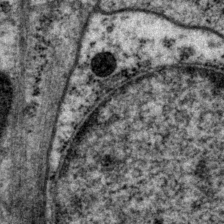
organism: P. pacificus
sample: Pharynx